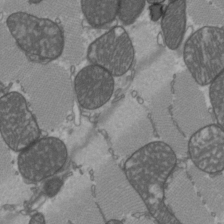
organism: C57BL Mouse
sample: Heart